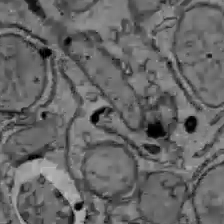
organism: C57BL Mouse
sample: Liver